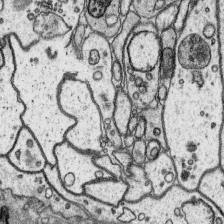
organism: Platynereis dumerilii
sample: Parapodia